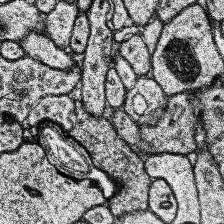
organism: Human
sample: Temporal Lobe